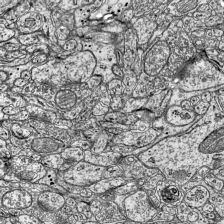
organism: Mouse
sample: Visual Cortex